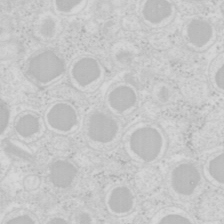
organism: Mouse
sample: Pancreas